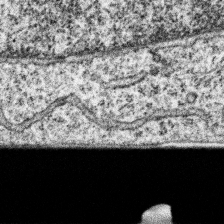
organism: Human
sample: HeLa cells